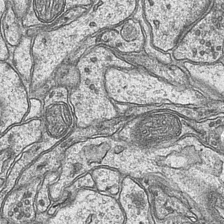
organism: Mouse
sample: CA1 Hippocampus